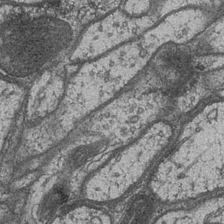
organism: Drosophila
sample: Optic medulla